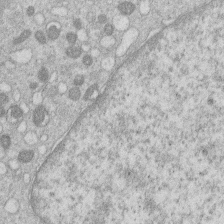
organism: Human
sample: Macrophage cells